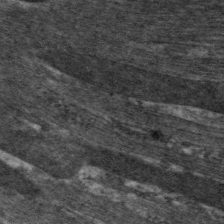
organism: C. elegans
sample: Pharynx